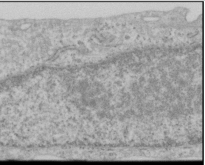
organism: Human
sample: Cilia; basal body in RPE cells